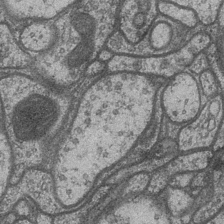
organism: Drosophila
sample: Optic medulla